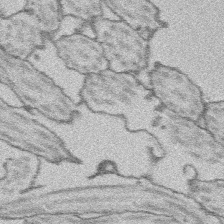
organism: Platynereis dumerilii